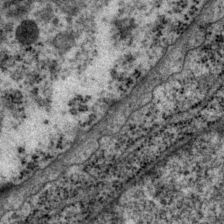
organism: P. pacificus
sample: Pharynx